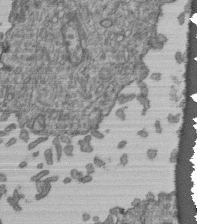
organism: Human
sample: Retinal organoid Rod and Cone cells